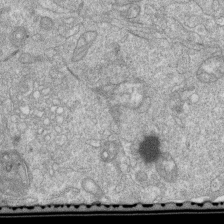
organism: Human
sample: HeLa cell HIV synapse